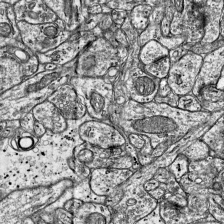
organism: Mouse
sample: Visual Cortex